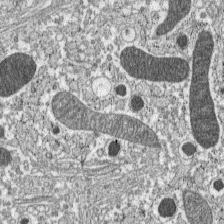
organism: C57BL Mouse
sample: Pancreatic islet